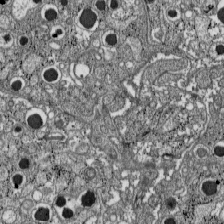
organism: C57BL Mouse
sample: Pancreatic islet